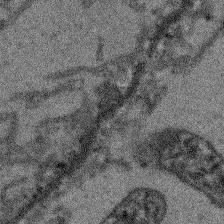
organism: Arabidopsis thaliana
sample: Root tip